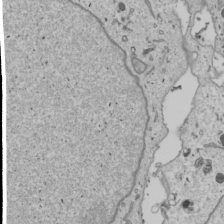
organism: Human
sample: Mitochondria in U2OS cells